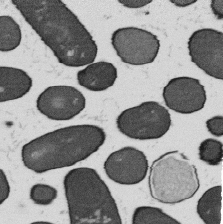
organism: B. subtilis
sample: Bacterial spore